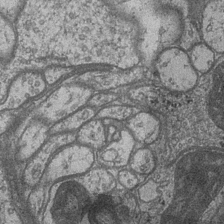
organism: Drosophila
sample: Optic medulla